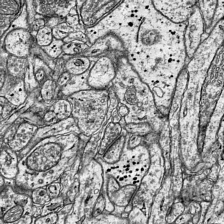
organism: Mouse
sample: Visual Cortex